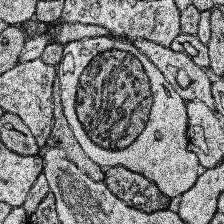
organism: Human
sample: Temporal Lobe